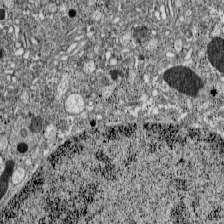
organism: C57BL Mouse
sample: Pancreatic islet